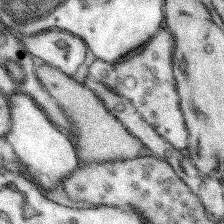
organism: Mouse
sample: Somatosensory cortex neuropil